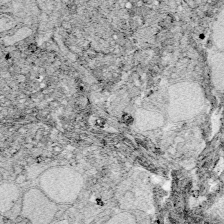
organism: Zebrafish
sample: Whole-Brain